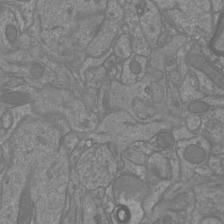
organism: Mouse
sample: Cortical neurons